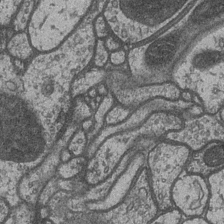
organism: Drosophila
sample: Optic medulla